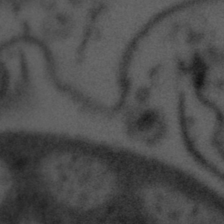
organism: Tuwongella immobilis